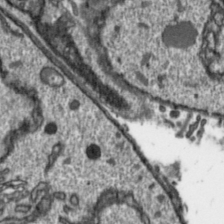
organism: Toxoplasma gondii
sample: Parasites in a vacuole inside a host cell